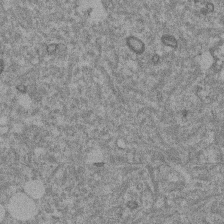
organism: Mouse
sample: Dividing mouse embryo 1 cell stage